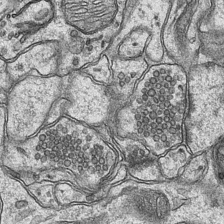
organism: Mouse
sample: CA1 Hippocampus